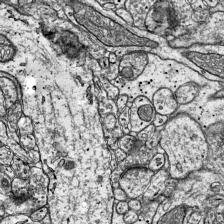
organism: Mouse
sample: Visual Cortex